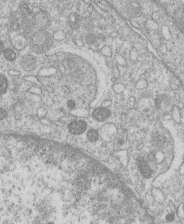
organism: Human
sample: Macrophage cells